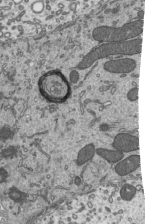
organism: Mouse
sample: Mouse epididymis efferent ductule cilia